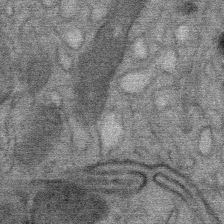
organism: Mouse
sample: Mouse Salivary gland